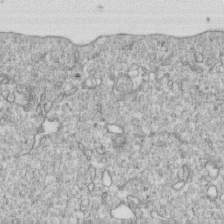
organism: Mouse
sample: Activated OT-1 CD8+ T cells